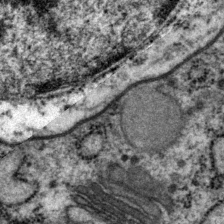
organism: P. pacificus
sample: Pharynx